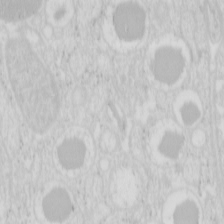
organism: Mouse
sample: Pancreas